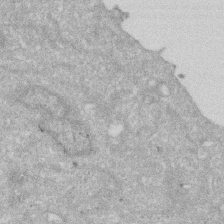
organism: Human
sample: HIV infected U937 cells